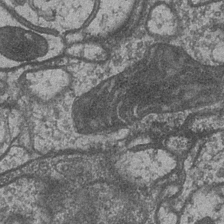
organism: Drosophila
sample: Optic medulla